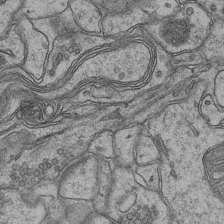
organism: Mouse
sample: CA1 Hippocampus